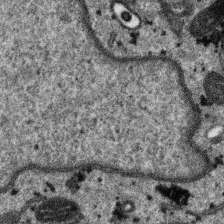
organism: Human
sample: Lung epithelial cells infected with SARS-CoV-2